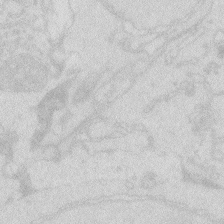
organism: Zebrafish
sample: Macrophage